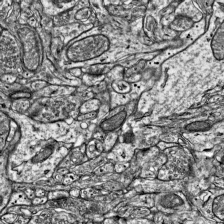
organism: Mouse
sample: Visual Cortex